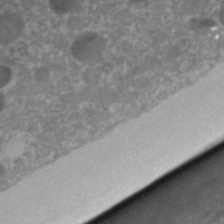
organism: C. elegans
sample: C. elegans embryo